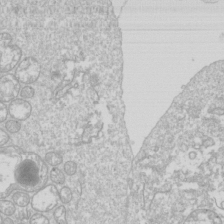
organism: Drosophila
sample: Cell division; meiosis; drosophila spermatocytes